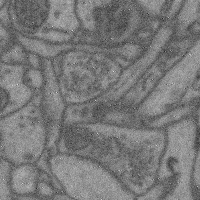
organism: Mouse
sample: Cerebral cortex